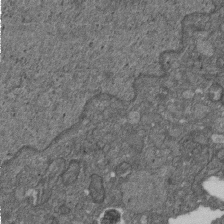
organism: Drosophila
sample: Nephrocyte